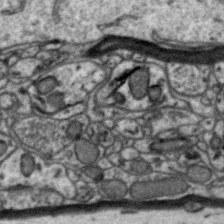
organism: Zebra finch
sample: Brain